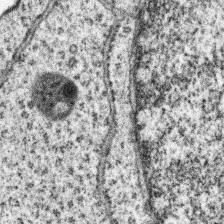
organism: Human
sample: HeLa cells